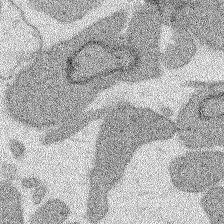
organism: Human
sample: HeLa cells